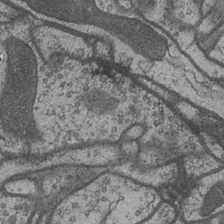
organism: Drosophila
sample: Optic medulla